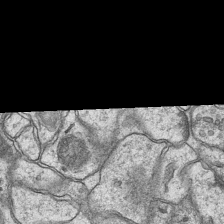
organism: Mouse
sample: CA1 Hippocampus